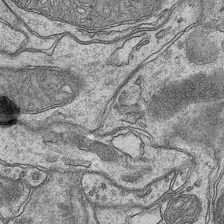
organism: Mouse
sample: CA1 Hippocampus